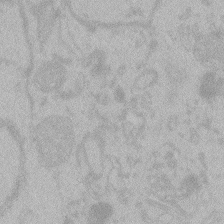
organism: Zebrafish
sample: Macrophage infected with Toxoplasma gondii